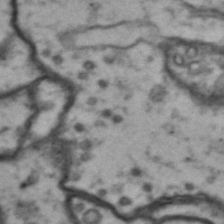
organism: Drosophila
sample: Brain